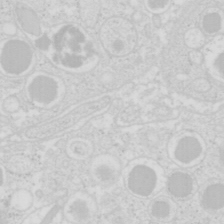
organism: Mouse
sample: Pancreas